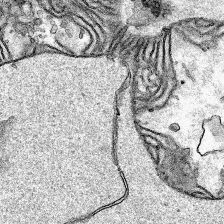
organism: Human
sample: Mitochondria in HCT116 cells